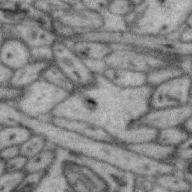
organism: Zebra finch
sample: Brain